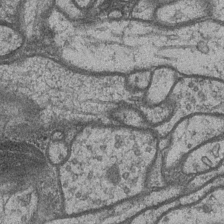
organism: Drosophila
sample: Optic medulla